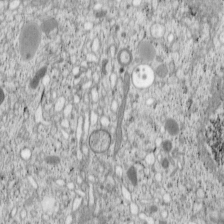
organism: African green monkey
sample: COS-7 cells